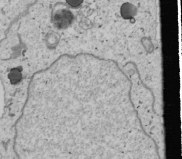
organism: Human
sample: Mitochondria in U2OS cells